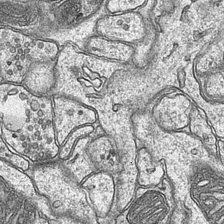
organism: Mouse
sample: CA1 Hippocampus